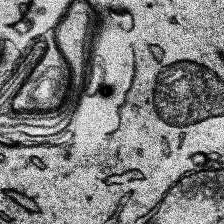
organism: Human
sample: Temporal Lobe